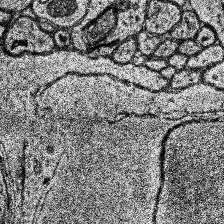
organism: Human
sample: Temporal Lobe